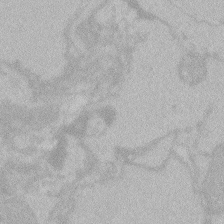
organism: Zebrafish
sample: Macrophage infected with Toxoplasma gondii